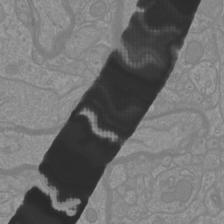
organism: Mouse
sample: Cortical neurons